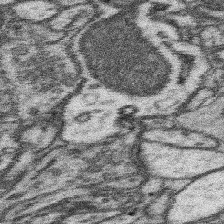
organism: Mouse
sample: Somatosensory cortex neuropil